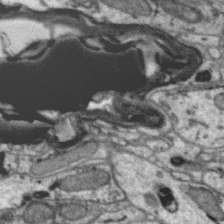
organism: Zebra finch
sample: Brain